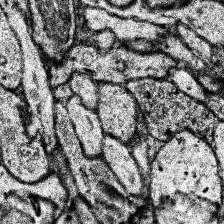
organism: Human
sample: Temporal Lobe